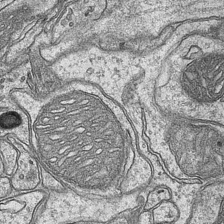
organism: Mouse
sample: CA1 Hippocampus